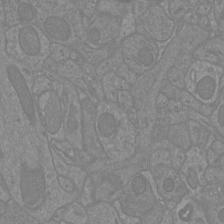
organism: Mouse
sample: Cortical neurons